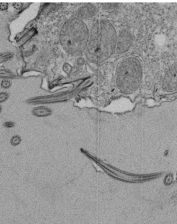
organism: Tetrahymena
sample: Cilia in tetrahymena